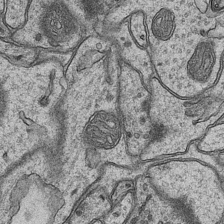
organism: Mouse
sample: CA1 Hippocampus